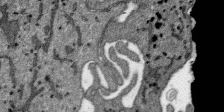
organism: Human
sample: Lung epithelial cells, uninfected (mock) control